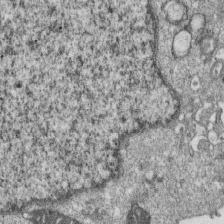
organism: African green monkey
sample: Vero E6 cells infected with SARS-CoV-2